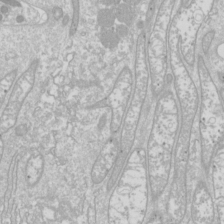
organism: Drosophila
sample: Cell division; meiosis; drosophila spermatocytes